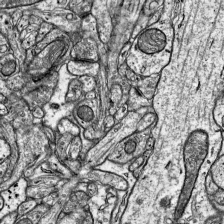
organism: Mouse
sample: Visual Cortex